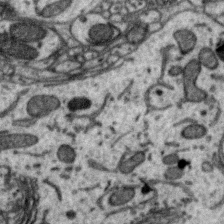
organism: Zebra finch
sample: Brain